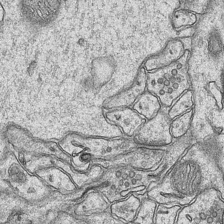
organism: Mouse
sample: CA1 Hippocampus